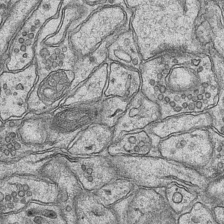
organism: Mouse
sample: CA1 Hippocampus